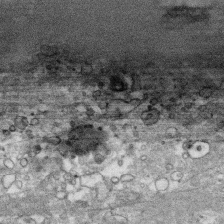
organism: Human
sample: CRL-1474